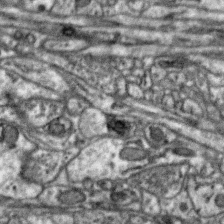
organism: Zebra finch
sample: Brain